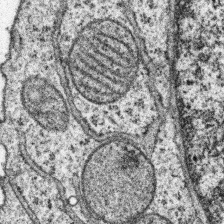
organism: Human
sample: HeLa cells